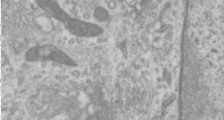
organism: Human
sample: Cilia; basal body in RPE cells